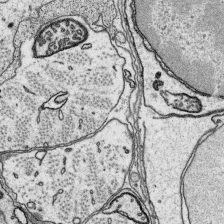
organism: Platynereis dumerilii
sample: Parapodia